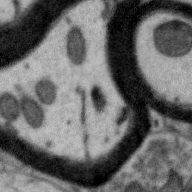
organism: Zebra finch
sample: Brain